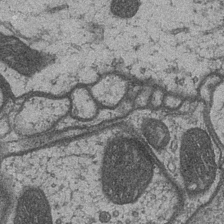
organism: Drosophila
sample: Optic medulla